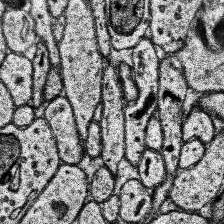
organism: Human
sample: Temporal Lobe